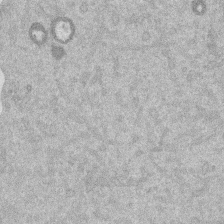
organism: Mouse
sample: Dividing mouse embryo 1 cell stage